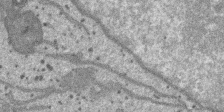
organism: Human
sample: Lung epithelial cells infected with SARS-CoV-2